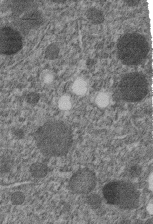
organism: C. elegans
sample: C. elegans embryo early stage